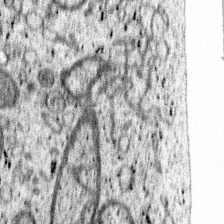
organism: Human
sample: HeLa cells